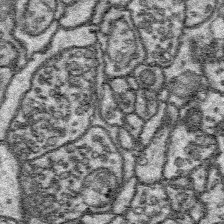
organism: Platynereis dumerilii